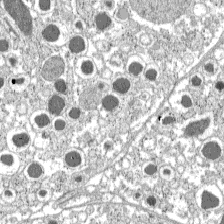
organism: C57BL Mouse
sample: Pancreatic islet